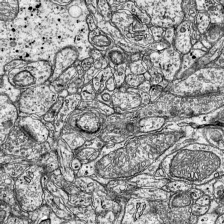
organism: Mouse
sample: Visual Cortex